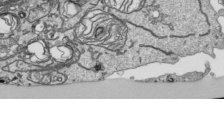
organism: Human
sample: Mitochondria in HCT116 cells